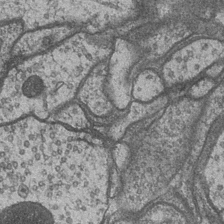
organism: Drosophila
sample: Optic medulla